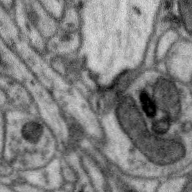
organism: Zebra finch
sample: Brain